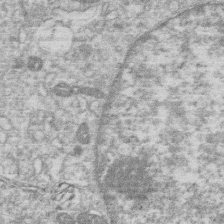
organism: Human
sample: Macrophage cells